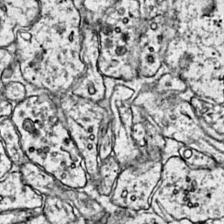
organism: Mouse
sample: Primary visual cortex